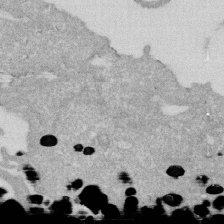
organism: Human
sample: HIV infected U937 cells